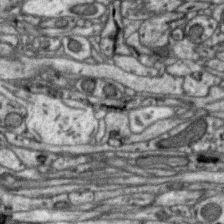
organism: Zebra finch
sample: Brain